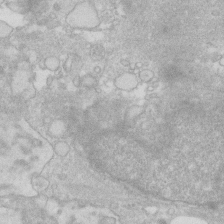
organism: Human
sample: Fibroblast cells